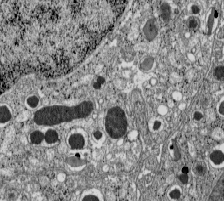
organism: C57BL Mouse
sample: Pancreatic islet